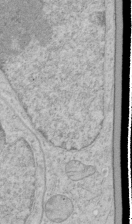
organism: Human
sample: Mitochondria in HCT116 cells